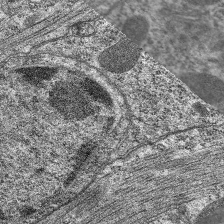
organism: C. elegans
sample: Pharynx